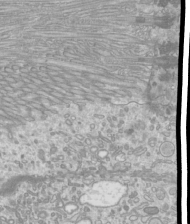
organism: Mouse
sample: Cilia; mouse epididymis